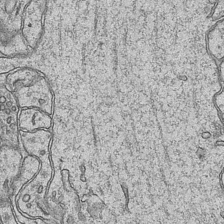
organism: Mouse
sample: CA1 Hippocampus